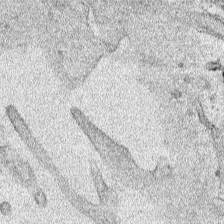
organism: Human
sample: Mitochondria in HCT116 cells